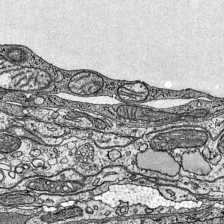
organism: Mouse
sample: Visual Cortex